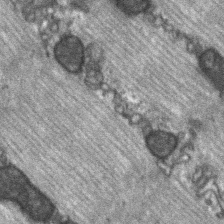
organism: C57BL Mouse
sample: Soleus